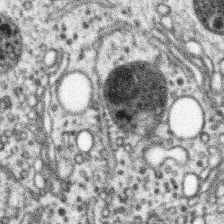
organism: Human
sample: HeLa cells